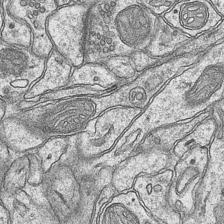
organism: Mouse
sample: CA1 Hippocampus